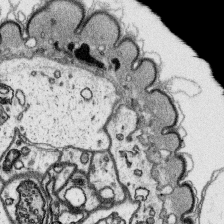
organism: Platynereis dumerilii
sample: Parapodia